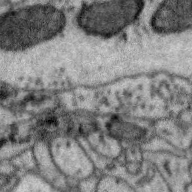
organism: Zebra finch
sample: Brain